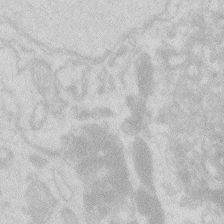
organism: Zebrafish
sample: Macrophage